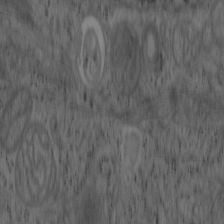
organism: Human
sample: HeLa cells